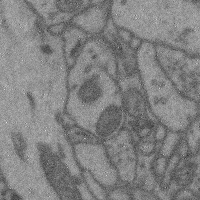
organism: Mouse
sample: Cerebral cortex